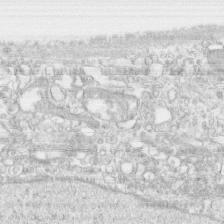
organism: Human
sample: CRL-1474